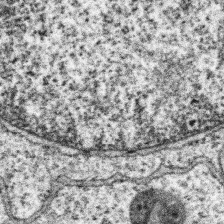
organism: Human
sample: HeLa cells